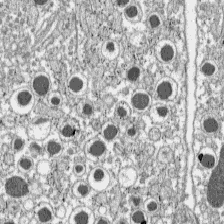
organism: C57BL Mouse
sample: Pancreatic islet